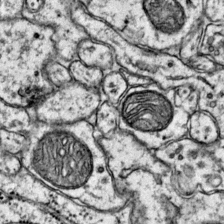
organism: Mouse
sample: Primary visual cortex